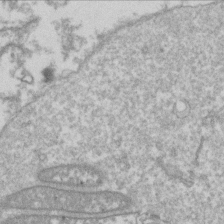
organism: Drosophila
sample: Cell division; meiosis; drosophila spermatocytes